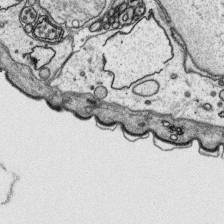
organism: Platynereis dumerilii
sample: Parapodia